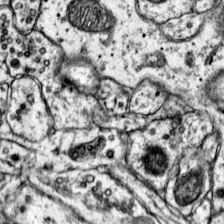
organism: Mouse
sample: Primary visual cortex